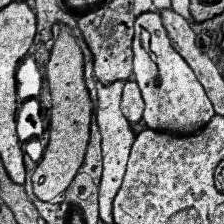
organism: Human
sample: Temporal Lobe